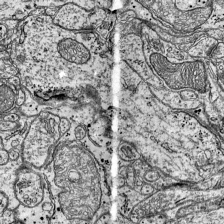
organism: Mouse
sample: Visual Cortex